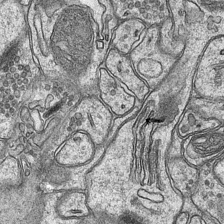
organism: Mouse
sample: CA1 Hippocampus